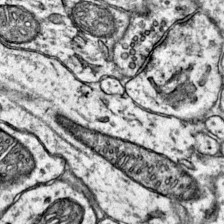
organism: Mouse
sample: Primary visual cortex